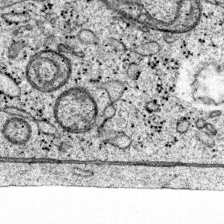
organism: Human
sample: HeLa cells